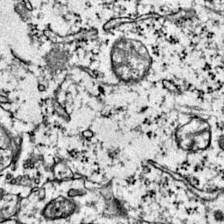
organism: Mouse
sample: Primary visual cortex